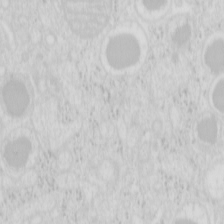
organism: Mouse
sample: Pancreas